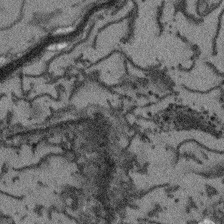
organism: Arabidopsis thaliana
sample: Root tip